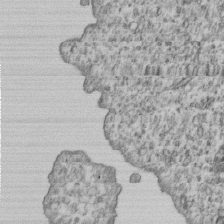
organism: Human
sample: MDA-MB-231 cells